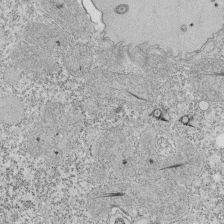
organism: Tetrahymena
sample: Cilia in tetrahymena